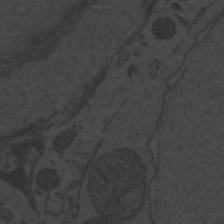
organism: Zebrafish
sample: Macrophage infected with Toxoplasma gondii